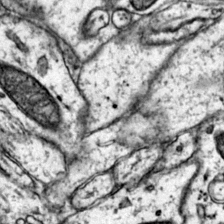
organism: Mouse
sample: Primary visual cortex